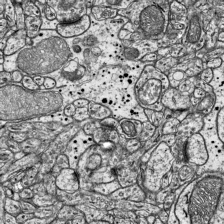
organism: Mouse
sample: Visual Cortex